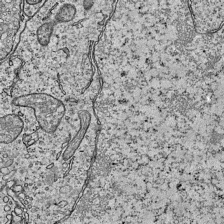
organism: Mouse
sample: Visual Cortex